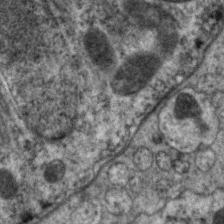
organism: C. elegans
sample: Pharynx